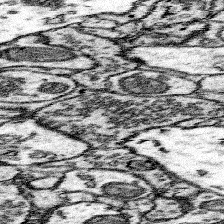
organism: Mouse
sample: Somatosensory cortex neuropil